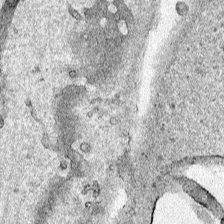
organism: Human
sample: Mitochondria in HCT116 cells